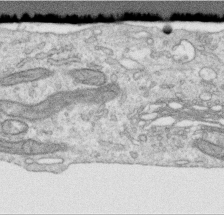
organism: Human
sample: Centriole in RPE cells